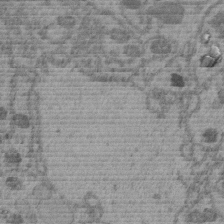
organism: C. elegans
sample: C. elegans embryo early stage